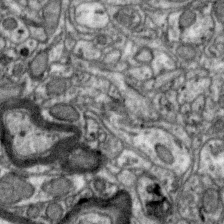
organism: Zebra finch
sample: Brain